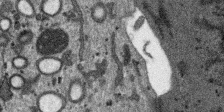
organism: Human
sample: Lung epithelial cells infected with SARS-CoV-2